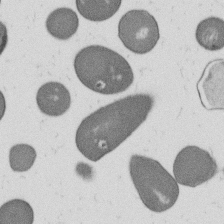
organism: B. subtilis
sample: Bacterial spore